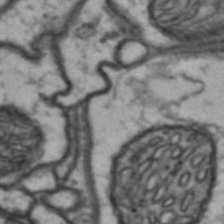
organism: Drosophila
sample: Brain